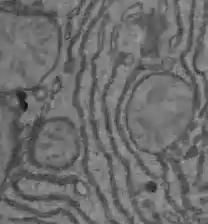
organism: C57BL Mouse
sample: Liver